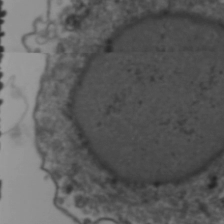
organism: Human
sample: HIV-1 Gag-iGFP